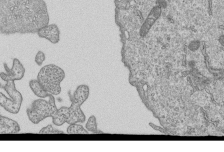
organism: Human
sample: MDA-MB-231 cells